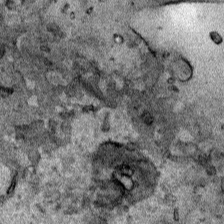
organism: Human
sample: Mitochondria in HCT116 cells